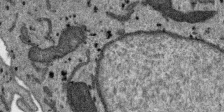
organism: Human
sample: Lung epithelial cells, uninfected (mock) control